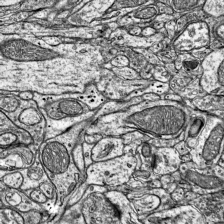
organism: Mouse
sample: Visual Cortex